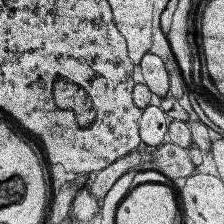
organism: Human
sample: Temporal Lobe